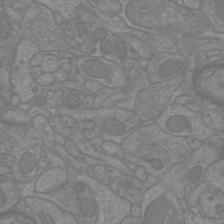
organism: Mouse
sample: Cortical neurons